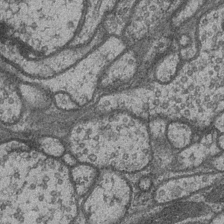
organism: Drosophila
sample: Optic medulla